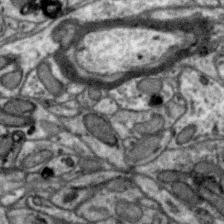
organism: Zebra finch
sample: Brain